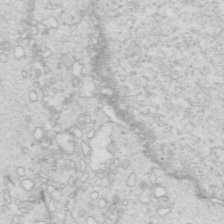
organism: Mouse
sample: Multiciliated cells